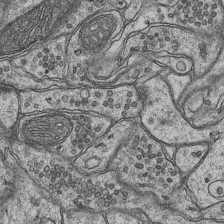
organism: Mouse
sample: CA1 Hippocampus